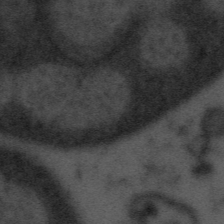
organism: Tuwongella immobilis